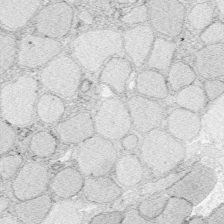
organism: Zebrafish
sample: Whole-Brain